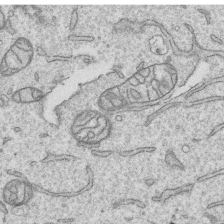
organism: Human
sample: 1205lu cells